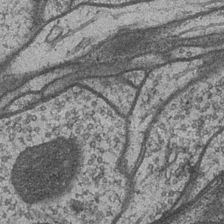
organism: Drosophila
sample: Optic medulla